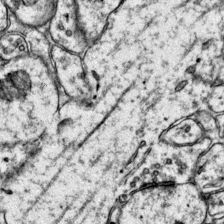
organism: Mouse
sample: Primary visual cortex